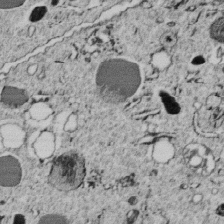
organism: C. elegans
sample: C. elegans embryo early stage